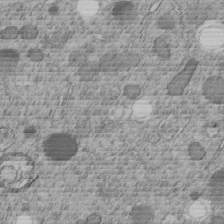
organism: C. elegans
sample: C. elegans embryo early stage